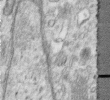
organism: Human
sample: Centriole in RPE cells